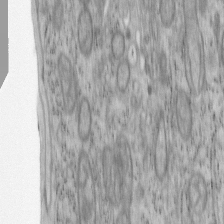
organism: Human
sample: HeLa cells